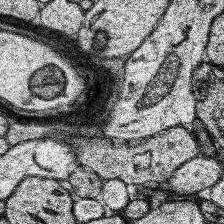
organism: Human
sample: Temporal Lobe